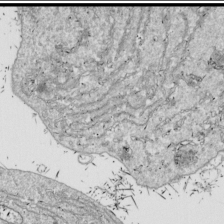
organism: Drosophila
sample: Cell division; meiosis; drosophila spermatocytes